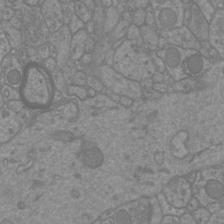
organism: Mouse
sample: Cortical neurons